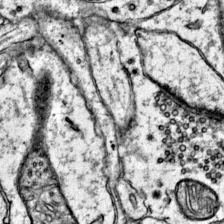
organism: Mouse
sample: Primary visual cortex